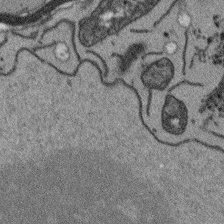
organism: Arabidopsis thaliana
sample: Root tip